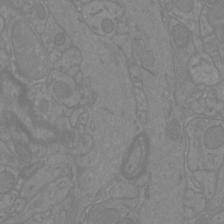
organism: Mouse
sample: Cortical neurons